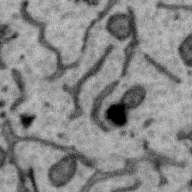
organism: Zebra finch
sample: Brain